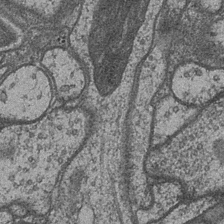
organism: Drosophila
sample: Optic medulla